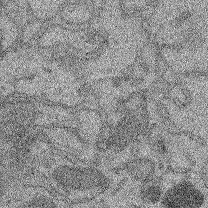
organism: Human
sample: HeLa cells